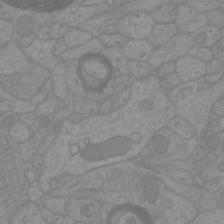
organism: Mouse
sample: Cortical neurons